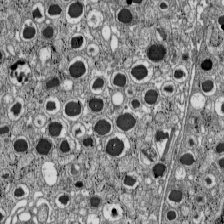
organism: C57BL Mouse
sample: Pancreatic islet